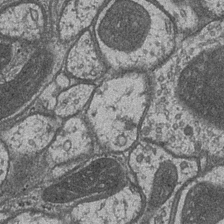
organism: Drosophila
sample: Optic medulla